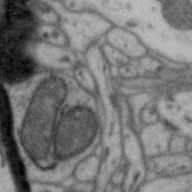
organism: Zebra finch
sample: Brain